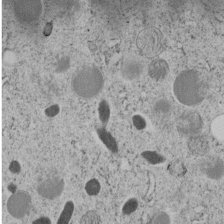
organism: C. elegans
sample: C. elegans embryo early stage